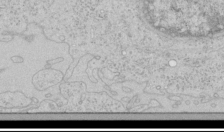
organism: Human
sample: Mitochondria in HCT116 cells